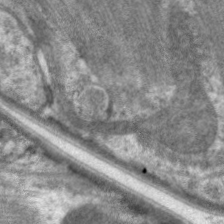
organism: C. elegans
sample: Pharynx